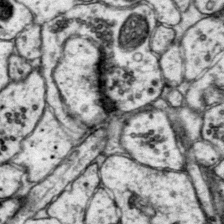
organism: Mouse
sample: Primary visual cortex